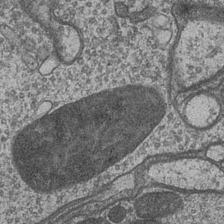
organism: Drosophila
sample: Optic medulla